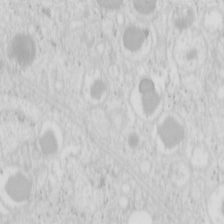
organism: Mouse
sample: Pancreas